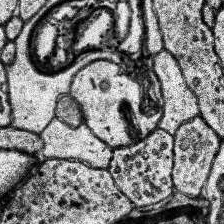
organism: Human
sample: Temporal Lobe